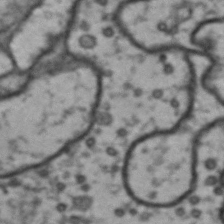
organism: Drosophila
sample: Brain